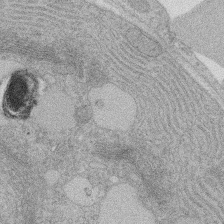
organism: Rat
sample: Salivary granule